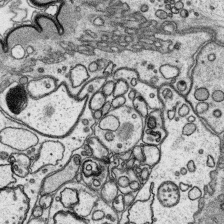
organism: Platynereis dumerilii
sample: Parapodia